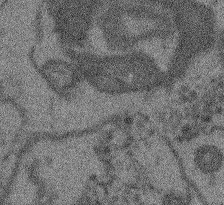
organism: Arabidopsis thaliana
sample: Root tip